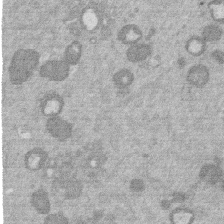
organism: Mouse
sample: Dividing mouse embryo 1 cell stage